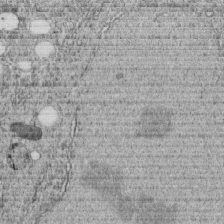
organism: C. elegans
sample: C. elegans embryo early stage